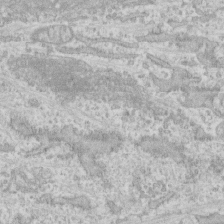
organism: Human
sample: CRL-1474